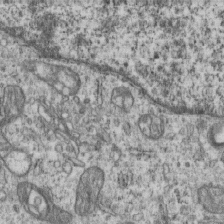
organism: Human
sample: MDA-MB-231 cells